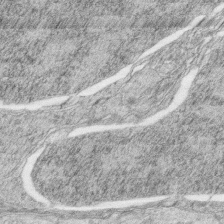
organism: Zebrafish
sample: synaptic ribbons in rod cells and cone cells